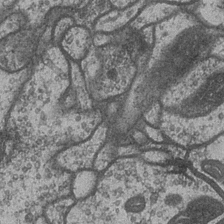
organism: Drosophila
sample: Optic medulla